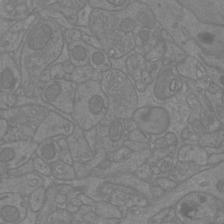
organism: Mouse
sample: Cortical neurons